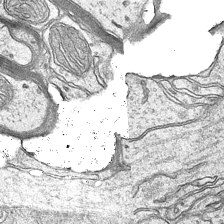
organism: Mouse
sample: CA1 Hippocampus